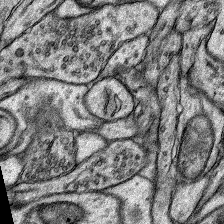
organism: Rat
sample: Hippocampus